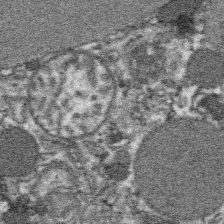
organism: Platynereis dumerilii